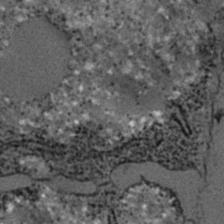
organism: C. elegans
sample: C. elegans embryo